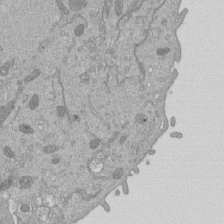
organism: Mouse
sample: ED-1 cell nuclei; centrioles